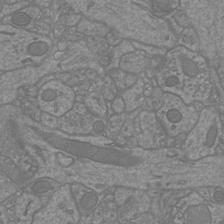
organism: Mouse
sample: Cortical neurons